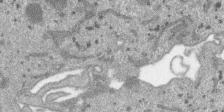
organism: Human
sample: Lung epithelial cells infected with SARS-CoV-2